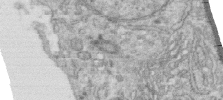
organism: Human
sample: Centriole in RPE cells